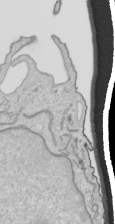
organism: Human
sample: Mitochondria in HCT116 cells